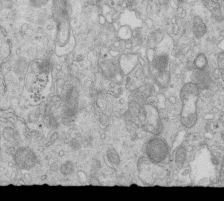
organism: Mouse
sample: Multiciliated cells